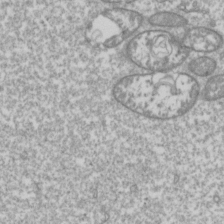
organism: Drosophila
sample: Cell division; meiosis; drosophila spermatocytes